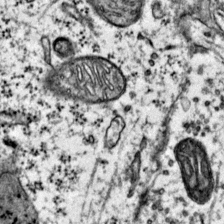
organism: Mouse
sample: Primary visual cortex